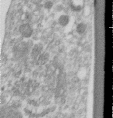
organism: Human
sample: Centriole in RPE cells